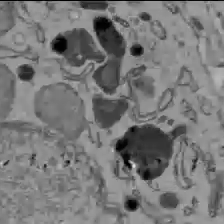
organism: C57BL Mouse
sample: Liver